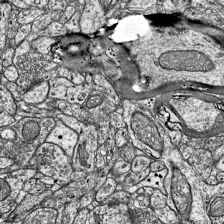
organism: Mouse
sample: Visual Cortex